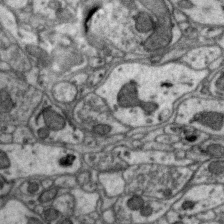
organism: Zebra finch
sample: Brain